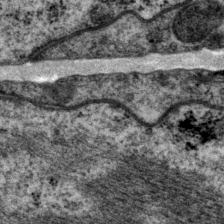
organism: P. pacificus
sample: Pharynx